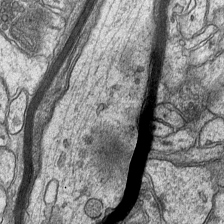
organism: Mouse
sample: CA1 Hippocampus